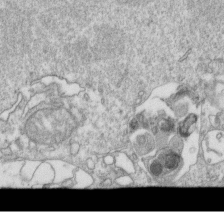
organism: Mouse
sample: Activated OT-1 CD8+ T cells